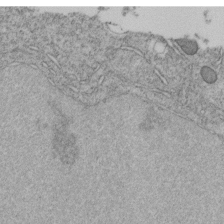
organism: C. elegans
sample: C. elegans embryo early stage